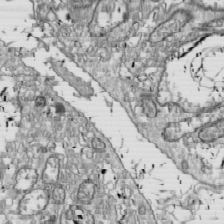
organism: Drosophila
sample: Cell division; meiosis; drosophila spermatocytes